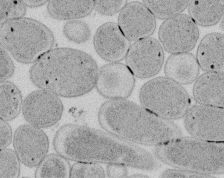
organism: E. coli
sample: Bacterial nucleoid